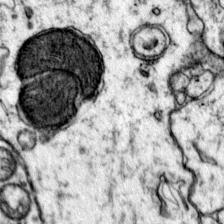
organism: Mouse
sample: Primary visual cortex